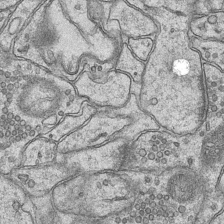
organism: Mouse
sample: CA1 Hippocampus